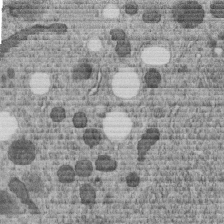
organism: C. elegans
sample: C. elegans embryo early stage